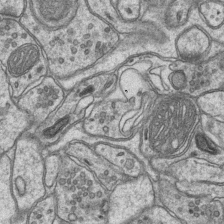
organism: Mouse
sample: CA1 Hippocampus